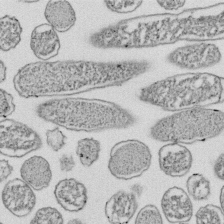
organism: E. coli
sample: Bacterial nucleoid